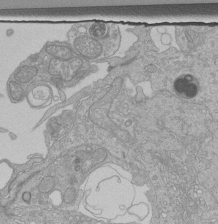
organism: Human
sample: Retinal organoid Rod and Cone cells